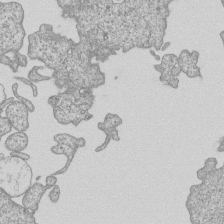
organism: Human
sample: MDA-MB-231 cells